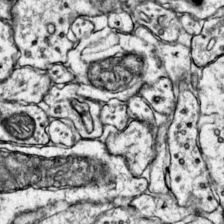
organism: Mouse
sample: Primary visual cortex